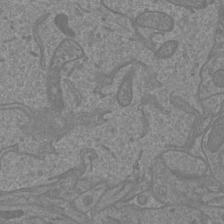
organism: Mouse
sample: Cortical neurons